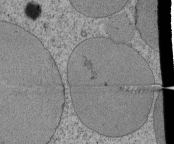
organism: Tetrahymena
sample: Cilia in tetrahymena